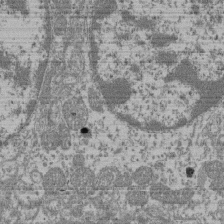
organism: Mouse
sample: Glomerulus